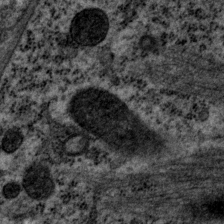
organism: P. pacificus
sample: Pharynx